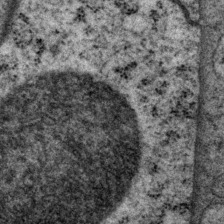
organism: P. pacificus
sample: Pharynx